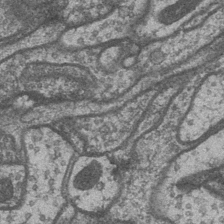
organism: Drosophila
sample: Optic medulla